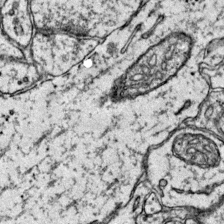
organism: Mouse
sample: Primary visual cortex